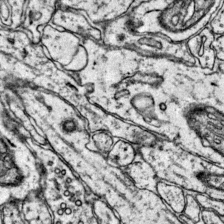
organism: Mouse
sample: Primary visual cortex